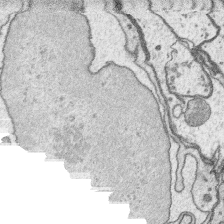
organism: Platynereis dumerilii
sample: Parapodia